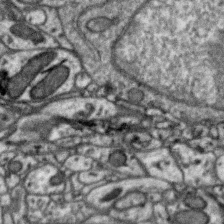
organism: Zebra finch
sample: Brain